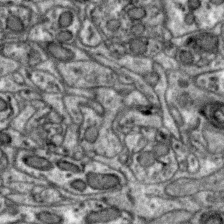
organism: Zebra finch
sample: Brain